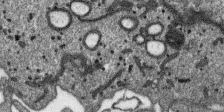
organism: Human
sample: Lung epithelial cells infected with SARS-CoV-2